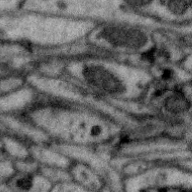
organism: Zebra finch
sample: Brain